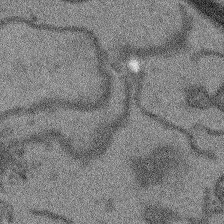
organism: Arabidopsis thaliana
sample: Root tip